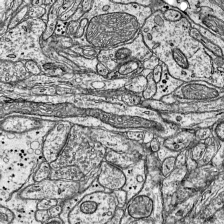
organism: Mouse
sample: Visual Cortex